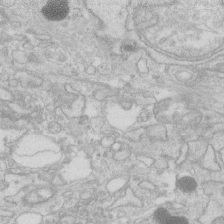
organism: Human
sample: Fibroblast cells